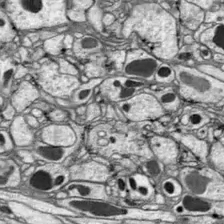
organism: Drosophila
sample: Optic lobe